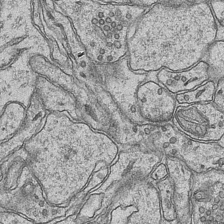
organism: Mouse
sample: CA1 Hippocampus